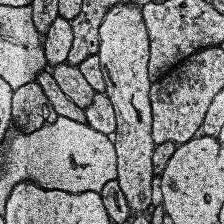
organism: Human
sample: Temporal Lobe